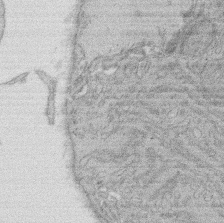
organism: Rat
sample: Salivary granule